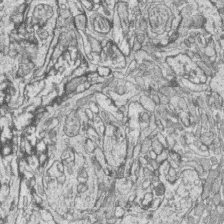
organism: Zebrafish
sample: synaptic ribbons in rod cells and cone cells